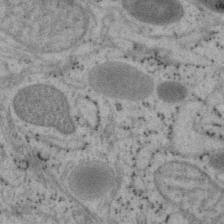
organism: Human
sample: HeLa cells